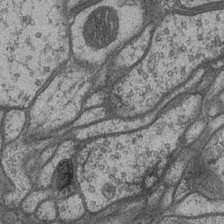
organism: Drosophila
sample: Optic medulla